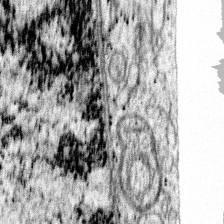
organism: Human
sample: HeLa cells